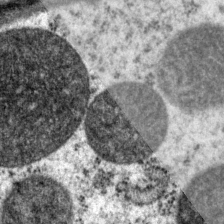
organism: P. pacificus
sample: Pharynx